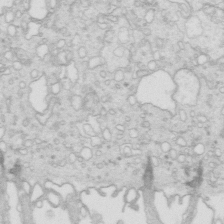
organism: Mouse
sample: Multiciliated cells